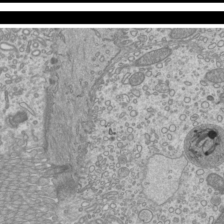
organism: Mouse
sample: Cilia; mouse epididymis